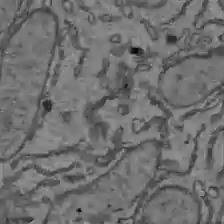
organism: C57BL Mouse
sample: Liver